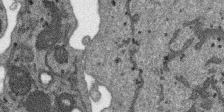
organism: Human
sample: Lung epithelial cells infected with SARS-CoV-2